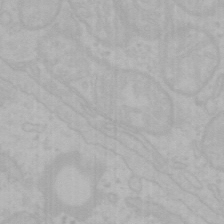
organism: Mouse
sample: Choroid plexus